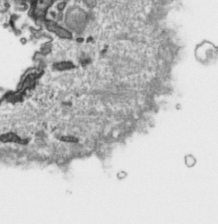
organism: Toxoplasma gondii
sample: Parasites in a vacuole inside a host cell